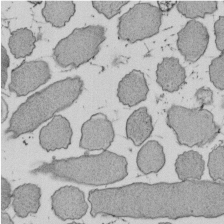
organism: E. coli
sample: Bacterial nucleoid